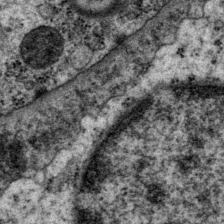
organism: P. pacificus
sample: Pharynx